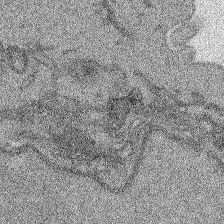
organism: Human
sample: HeLa cells